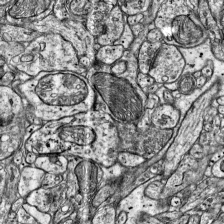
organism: Mouse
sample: Visual Cortex